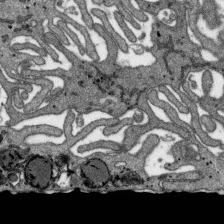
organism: Human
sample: Lung epithelial cells, uninfected (mock) control